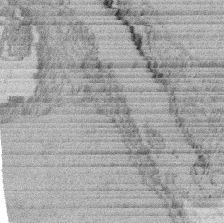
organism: Rat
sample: Salivary granule